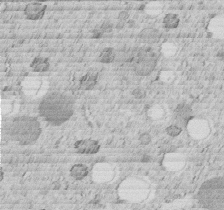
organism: C. elegans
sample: C. elegans embryo early stage